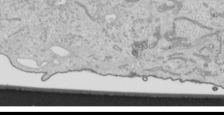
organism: Human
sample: Mitochondria in HCT116 cells